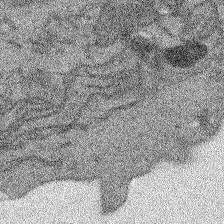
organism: Human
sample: HeLa cells